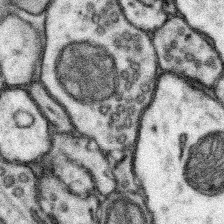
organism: Mouse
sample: Somatosensory cortex neuropil